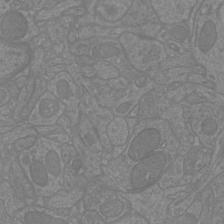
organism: Mouse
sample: Cortical neurons